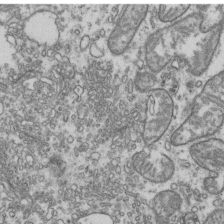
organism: Human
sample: Activated Jurkat CD4+ T cells